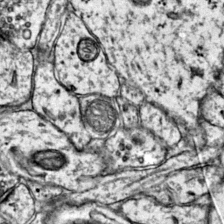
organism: Mouse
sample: Primary visual cortex